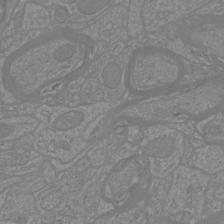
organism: Mouse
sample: Cortical neurons